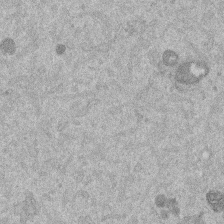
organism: Mouse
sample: Dividing mouse embryo 1 cell stage